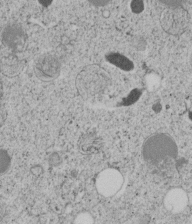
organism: C. elegans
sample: C. elegans embryo early stage